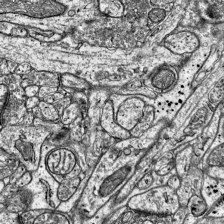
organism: Mouse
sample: Visual Cortex